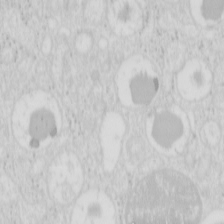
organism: Mouse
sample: Pancreas